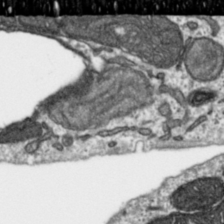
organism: Toxoplasma gondii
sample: Parasites in a vacuole inside a host cell